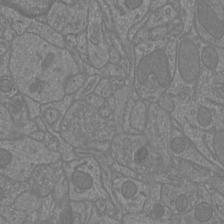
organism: Mouse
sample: Cortical neurons